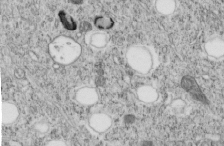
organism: C. elegans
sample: C. elegans embryo early stage